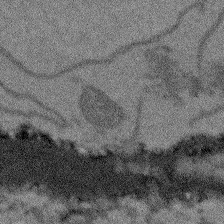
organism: Arabidopsis thaliana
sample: Root tip